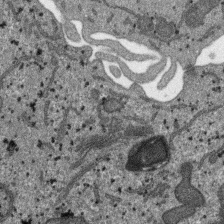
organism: Human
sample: Lung epithelial cells infected with SARS-CoV-2